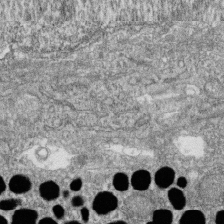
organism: Zebrafish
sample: Cilia; retinal pigment epithelium